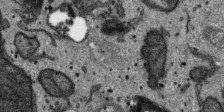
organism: Human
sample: Lung epithelial cells, uninfected (mock) control